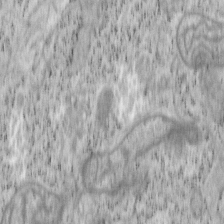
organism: Human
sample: HeLa cells